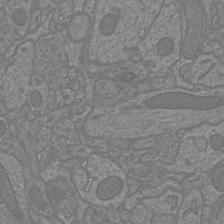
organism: Mouse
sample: Cortical neurons